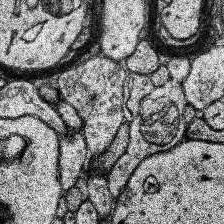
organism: Human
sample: Temporal Lobe